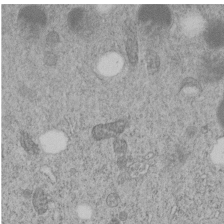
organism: C. elegans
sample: C. elegans embryo early stage